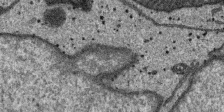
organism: Human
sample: Lung epithelial cells, uninfected (mock) control